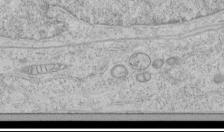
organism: Human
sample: Mitochondria in HCT116 cells